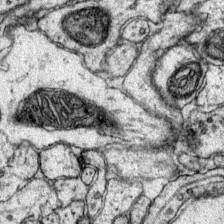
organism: Mouse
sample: Primary visual cortex